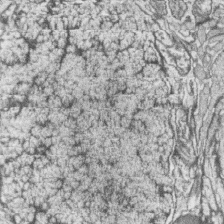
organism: Zebrafish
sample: synaptic ribbons in rod cells and cone cells